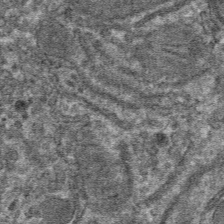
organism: Mouse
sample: Mouse hepatocytes